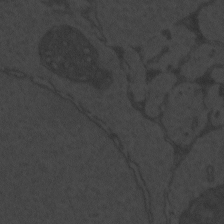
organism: Zebrafish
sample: Macrophage infected with Toxoplasma gondii